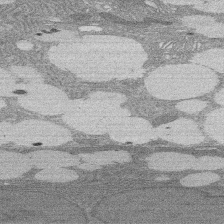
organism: Rat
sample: Salivary granule